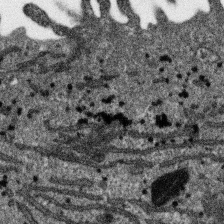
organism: Human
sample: Lung epithelial cells infected with SARS-CoV-2